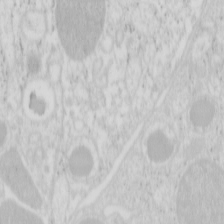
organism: Mouse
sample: Pancreas